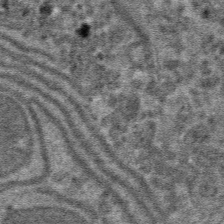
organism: Mouse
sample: Mouse hepatocytes